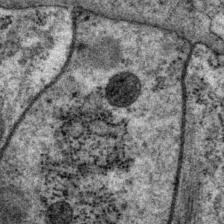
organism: P. pacificus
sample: Pharynx